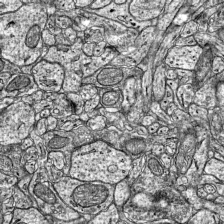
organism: Mouse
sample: Visual Cortex